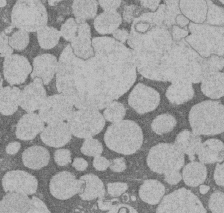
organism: Rat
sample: Salivary granule